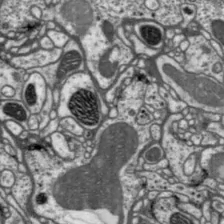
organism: Drosophila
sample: Protocerebral bridge